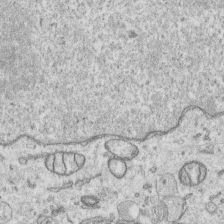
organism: Human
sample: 1205lu cells